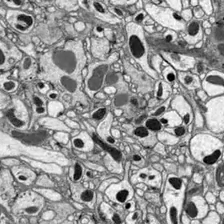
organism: Drosophila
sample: Optic lobe